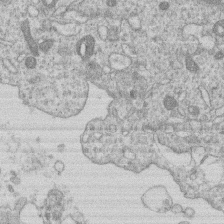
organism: Human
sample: Macrophage cells